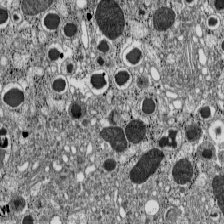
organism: C57BL Mouse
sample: Pancreatic islet